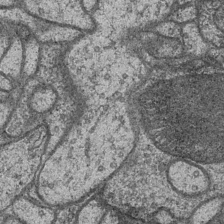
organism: Drosophila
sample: Optic medulla